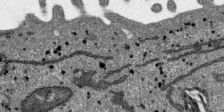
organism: Human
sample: Lung epithelial cells, uninfected (mock) control